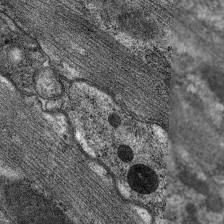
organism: C. elegans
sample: Pharynx